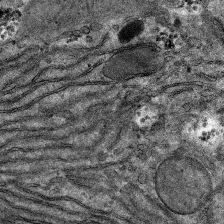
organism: Mouse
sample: Mouse hepatocytes